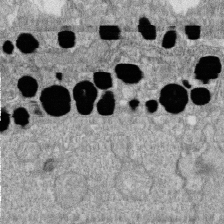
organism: Zebrafish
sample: Cilia; retinal pigment epithelium